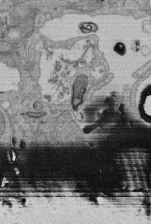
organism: Human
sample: Retinal organoid Rod and Cone cells